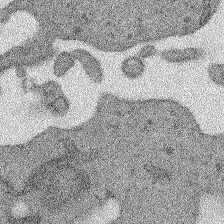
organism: Human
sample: HeLa cells